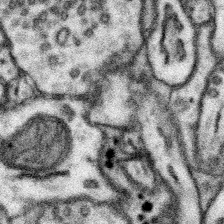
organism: Mouse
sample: Somatosensory cortex neuropil